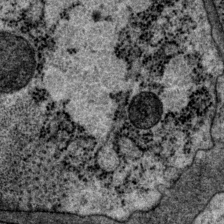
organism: P. pacificus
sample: Pharynx